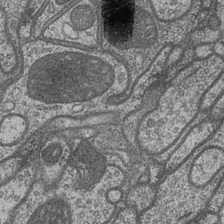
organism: Drosophila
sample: Optic medulla